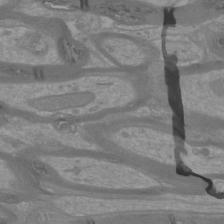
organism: Mouse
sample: Cortical neurons